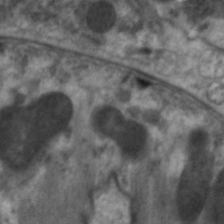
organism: C. elegans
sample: Pharynx